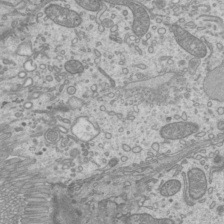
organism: Mouse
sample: Cilia; mouse epididymis